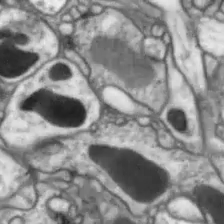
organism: Drosophila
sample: Optic lobe